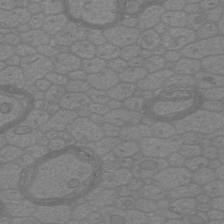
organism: Mouse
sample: Cortical neurons